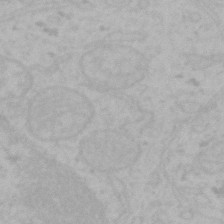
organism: Mouse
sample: Choroid plexus